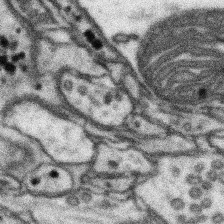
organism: Mouse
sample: Somatosensory cortex neuropil